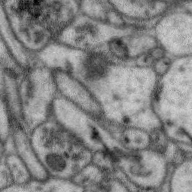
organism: Zebra finch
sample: Brain